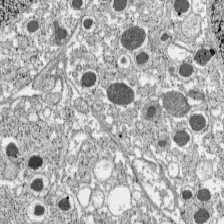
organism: C57BL Mouse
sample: Pancreatic islet